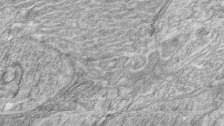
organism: Zebrafish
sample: synaptic ribbons in rod cells and cone cells